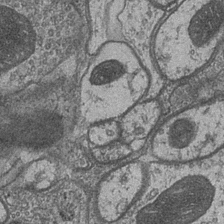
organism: Drosophila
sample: Optic medulla